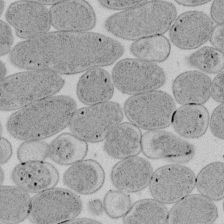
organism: E. coli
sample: Bacterial nucleoid